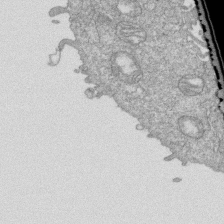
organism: Human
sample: HeLa cell HIV synapse